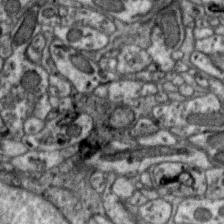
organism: Zebra finch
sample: Brain